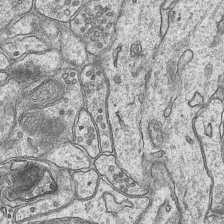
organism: Mouse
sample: CA1 Hippocampus